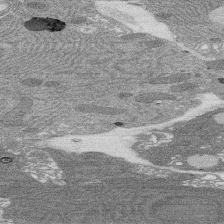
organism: Rat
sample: Salivary granule